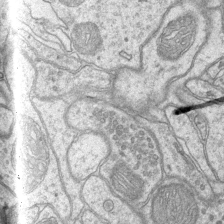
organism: Mouse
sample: CA1 Hippocampus